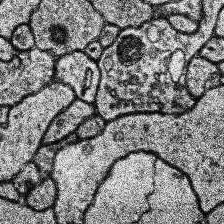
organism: Human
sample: Temporal Lobe